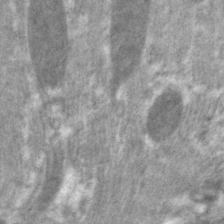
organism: C. elegans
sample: Pharynx